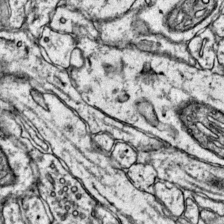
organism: Mouse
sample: Primary visual cortex